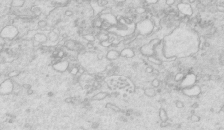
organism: Mouse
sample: Multiciliated cells